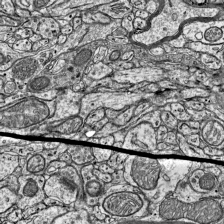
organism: Mouse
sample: Visual Cortex